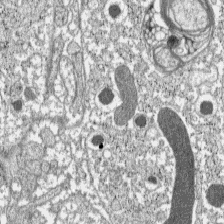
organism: C57BL Mouse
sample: Pancreatic islet